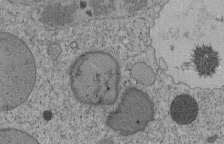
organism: Tetrahymena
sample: Cilia in tetrahymena